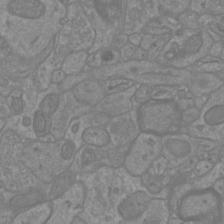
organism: Mouse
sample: Cortical neurons